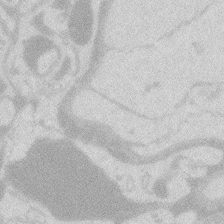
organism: Zebrafish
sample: Macrophage